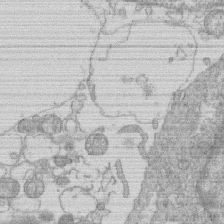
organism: Human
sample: Macrophage cells